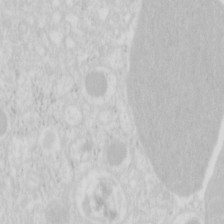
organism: Mouse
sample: Pancreas